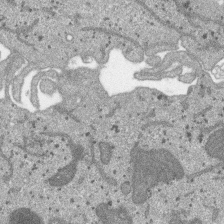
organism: Human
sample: Lung epithelial cells infected with SARS-CoV-2